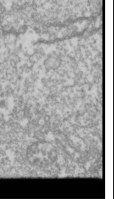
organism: Drosophila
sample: Cell division; meiosis; drosophila spermatocytes